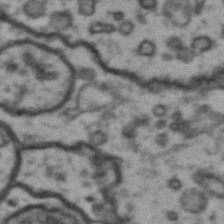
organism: Drosophila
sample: Brain